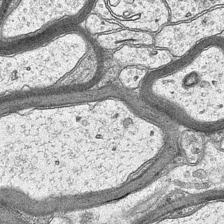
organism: Mouse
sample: CA1 Hippocampus